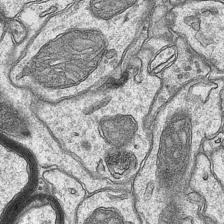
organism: Mouse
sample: CA1 Hippocampus